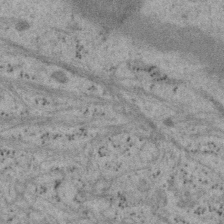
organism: Human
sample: HeLa cells